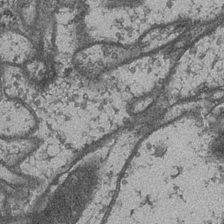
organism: Drosophila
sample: Optic medulla